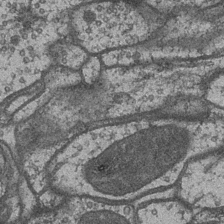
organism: Drosophila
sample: Optic medulla